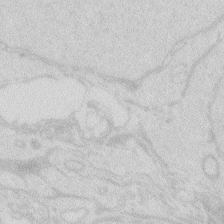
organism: Zebrafish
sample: Macrophage